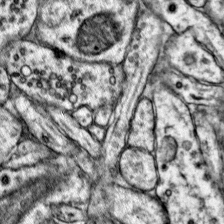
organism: Mouse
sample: Primary visual cortex